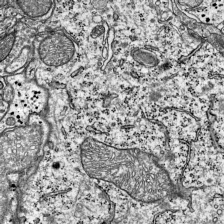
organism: Mouse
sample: Visual Cortex